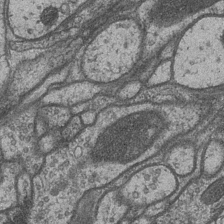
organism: Drosophila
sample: Optic medulla